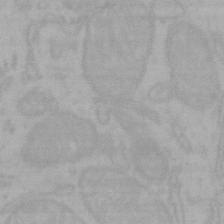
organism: Mouse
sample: Choroid plexus